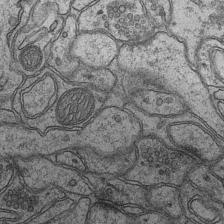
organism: Mouse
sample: CA1 Hippocampus